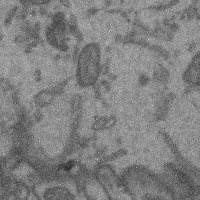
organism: Mouse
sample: Cerebral cortex